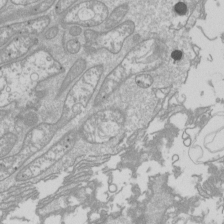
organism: Drosophila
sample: Cell division; meiosis; drosophila spermatocytes